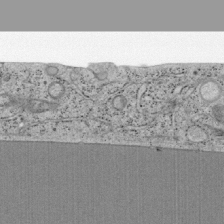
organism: Human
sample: HeLa cells